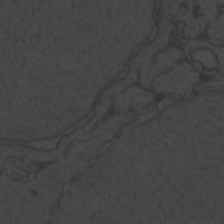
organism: Zebrafish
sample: Macrophage infected with Toxoplasma gondii